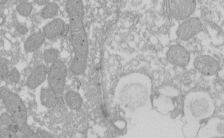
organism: Xenopus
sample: Cilia; centrioles in frog embryo cells